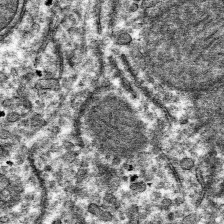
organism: Mouse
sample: Mouse hepatocytes